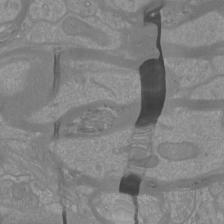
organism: Mouse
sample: Cortical neurons